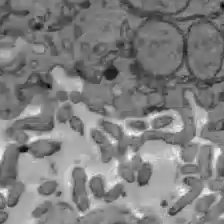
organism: C57BL Mouse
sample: Liver